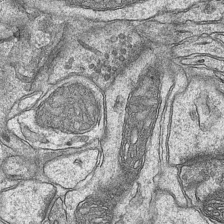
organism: Mouse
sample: CA1 Hippocampus